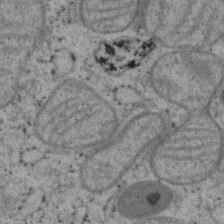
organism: Human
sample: HeLa cells